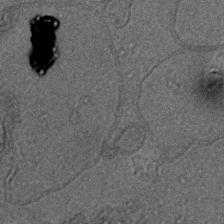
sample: Trachea